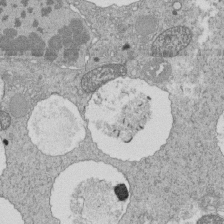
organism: Tetrahymena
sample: Cilia in tetrahymena